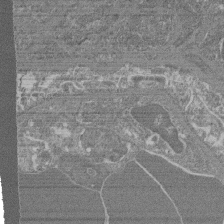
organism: Mouse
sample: Glomerulus